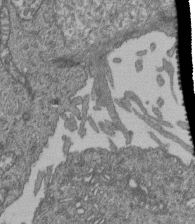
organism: Human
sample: Retinal organoid Rod and Cone cells